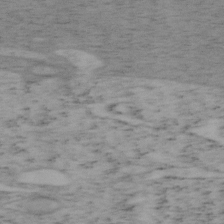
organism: Mouse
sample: OT-I killer T cells with ID8 ovarian cancer cells